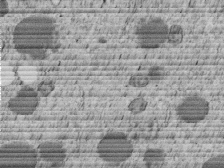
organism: C. elegans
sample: C. elegans embryo early stage